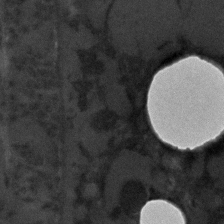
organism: C. elegans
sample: C. elegans embryo